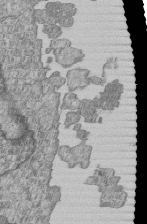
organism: Human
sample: MDA-MB-231 cells